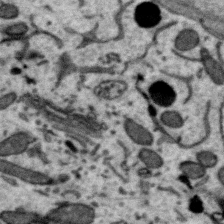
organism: Zebra finch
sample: Brain